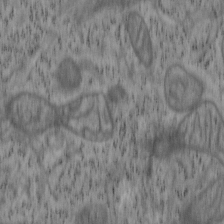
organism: Human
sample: HeLa cells